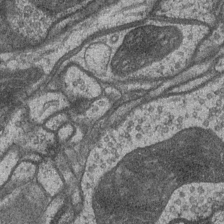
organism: Drosophila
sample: Optic medulla